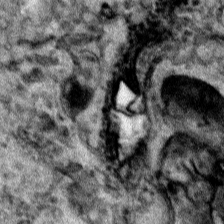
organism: Human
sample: Mitochondria in HCT116 cells